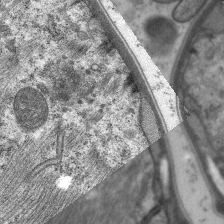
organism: C. elegans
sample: Pharynx